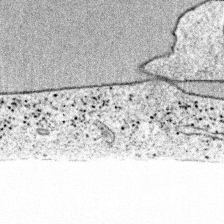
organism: Human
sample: HeLa cells